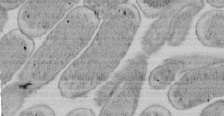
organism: E. coli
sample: Bacterial nucleoid